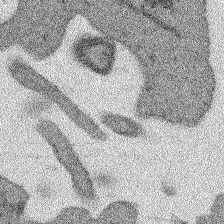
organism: Human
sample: HeLa cells